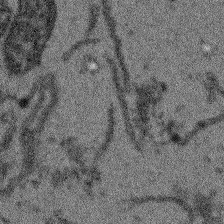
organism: Arabidopsis thaliana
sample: Root tip